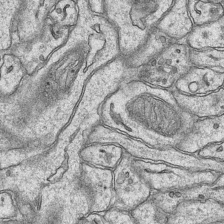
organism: Mouse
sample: CA1 Hippocampus